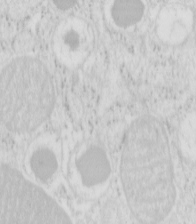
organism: Mouse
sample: Pancreas